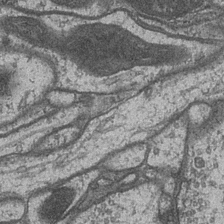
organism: Drosophila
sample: Optic medulla